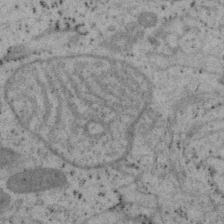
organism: Human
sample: HeLa cells